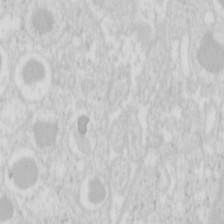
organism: Mouse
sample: Pancreas